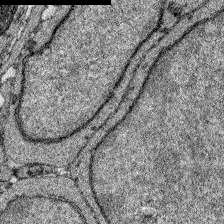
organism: Zebrafish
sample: Larval olfactory bulb